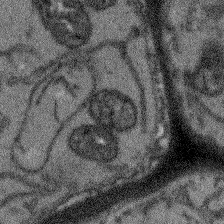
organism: Arabidopsis thaliana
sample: Root tip